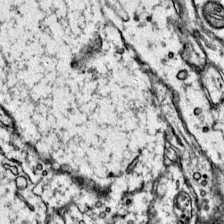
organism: Mouse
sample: Primary visual cortex